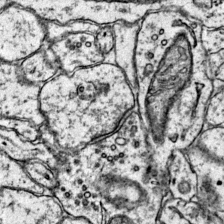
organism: Mouse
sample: Primary visual cortex